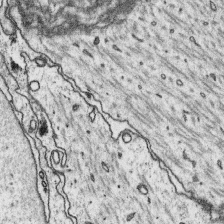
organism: Platynereis dumerilii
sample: Parapodia